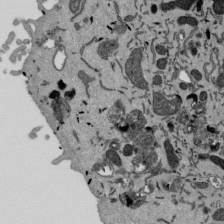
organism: Mouse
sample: ED-1 cell nuclei; centrioles